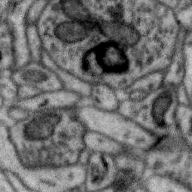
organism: Zebra finch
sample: Brain